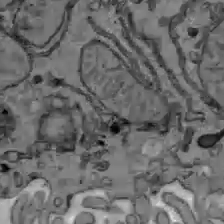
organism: C57BL Mouse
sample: Liver